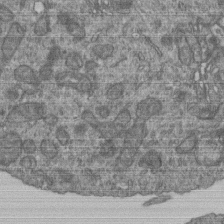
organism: Human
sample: Retinal organoid Rod and Cone cells